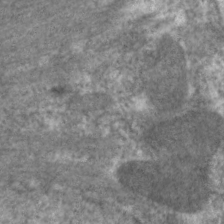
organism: C. elegans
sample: Pharynx